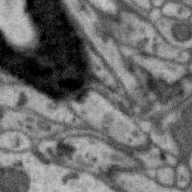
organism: Zebra finch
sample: Brain